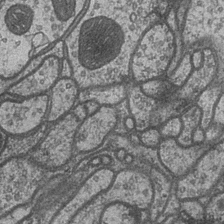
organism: Drosophila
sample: Optic medulla